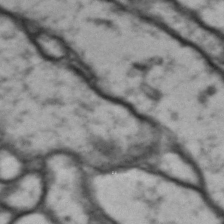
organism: Drosophila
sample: Brain